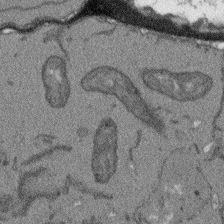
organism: Arabidopsis thaliana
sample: Root tip